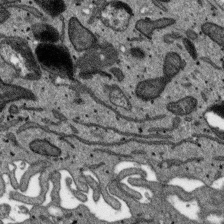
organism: Human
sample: Lung epithelial cells, uninfected (mock) control